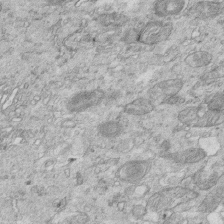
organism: Mouse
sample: Multiciliated cells